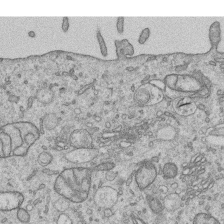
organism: Human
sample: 1205lu cells